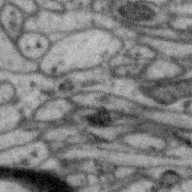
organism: Zebra finch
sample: Brain